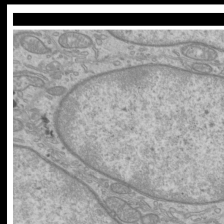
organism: Mouse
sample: Cilia; mouse epididymis